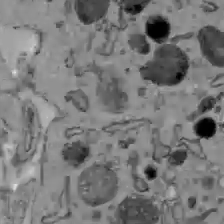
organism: C57BL Mouse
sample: Liver